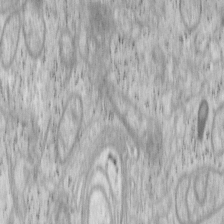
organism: Human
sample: HeLa cells